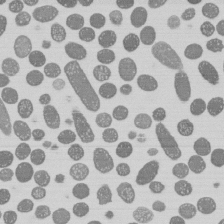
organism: E. coli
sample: Bacterial nucleoid